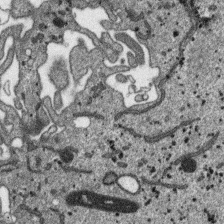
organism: Human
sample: Lung epithelial cells infected with SARS-CoV-2